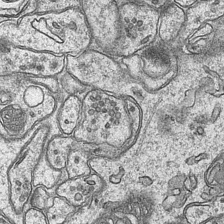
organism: Mouse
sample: CA1 Hippocampus